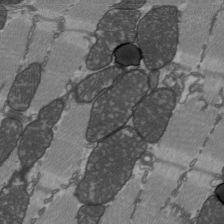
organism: C57BL Mouse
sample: Heart